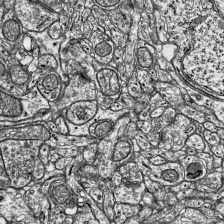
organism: Mouse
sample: Visual Cortex